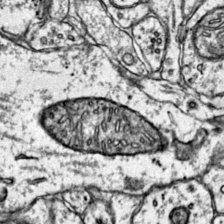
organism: Mouse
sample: Primary visual cortex